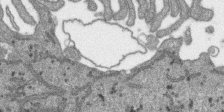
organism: Human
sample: Lung epithelial cells infected with SARS-CoV-2